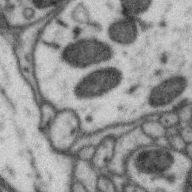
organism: Zebra finch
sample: Brain